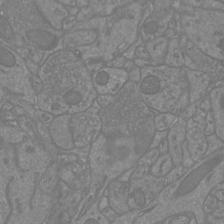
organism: Mouse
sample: Cortical neurons